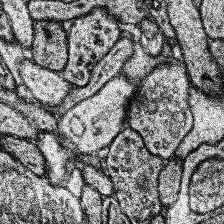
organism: Human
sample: Temporal Lobe